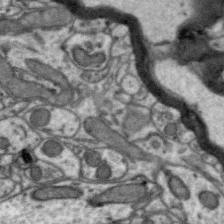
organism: Zebra finch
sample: Brain